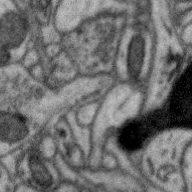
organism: Zebra finch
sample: Brain